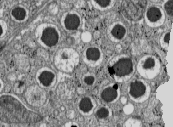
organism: C57BL Mouse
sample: Pancreatic islet